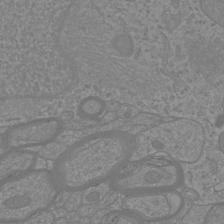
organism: Mouse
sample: Cortical neurons